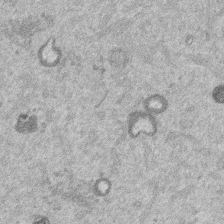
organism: Mouse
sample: Dividing mouse embryo 1 cell stage